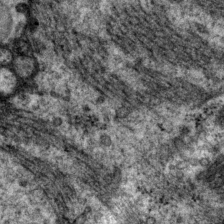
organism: P. pacificus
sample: Pharynx